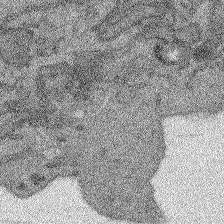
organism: Human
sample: HeLa cells